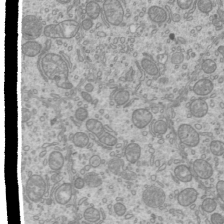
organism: Mouse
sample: Cilia; mouse epididymis